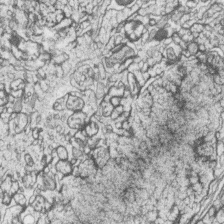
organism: Zebrafish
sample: synaptic ribbons in rod cells and cone cells